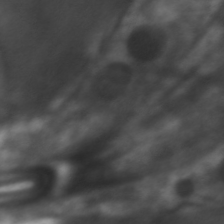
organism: C. elegans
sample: Pharynx